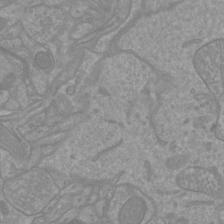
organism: Mouse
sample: Cortical neurons